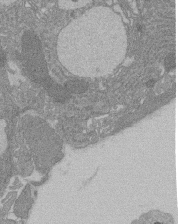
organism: Rat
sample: Salivary granule